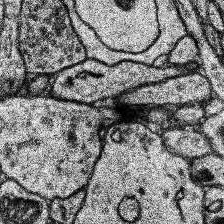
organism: Human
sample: Temporal Lobe